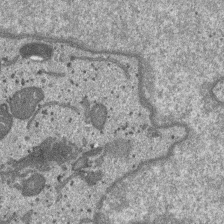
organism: Human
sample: Lung epithelial cells infected with SARS-CoV-2